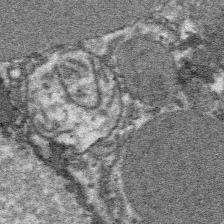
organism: Platynereis dumerilii